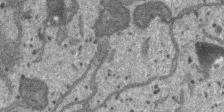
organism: Human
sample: Lung epithelial cells infected with SARS-CoV-2